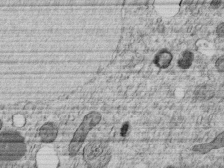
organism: C. elegans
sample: C. elegans embryo early stage